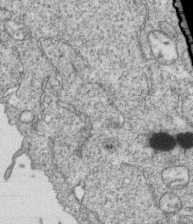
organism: Human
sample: HeLa cell HIV synapse